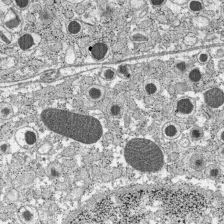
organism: C57BL Mouse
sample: Pancreatic islet